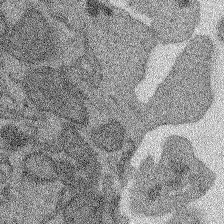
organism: Human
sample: HeLa cells